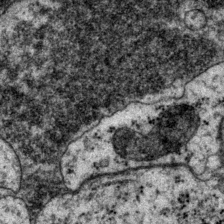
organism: P. pacificus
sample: Pharynx